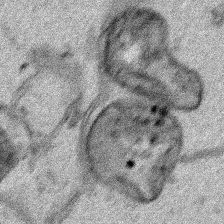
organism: Human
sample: Mitochondria in HCT116 cells